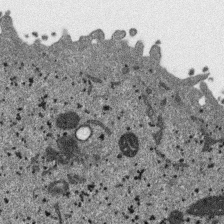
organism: Human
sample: Lung epithelial cells infected with SARS-CoV-2